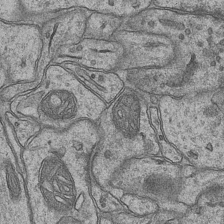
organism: Mouse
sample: CA1 Hippocampus